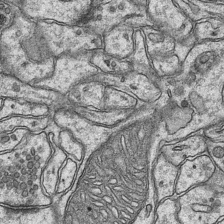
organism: Mouse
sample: CA1 Hippocampus